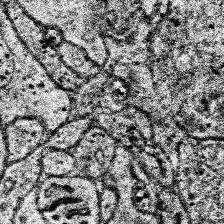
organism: Human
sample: Temporal Lobe